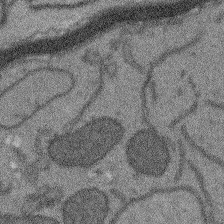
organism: Arabidopsis thaliana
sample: Root tip